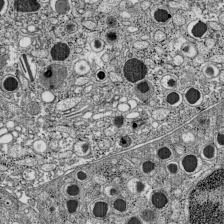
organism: C57BL Mouse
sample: Pancreatic islet